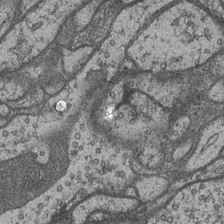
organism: Drosophila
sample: Optic medulla